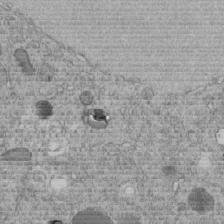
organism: C. elegans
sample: C. elegans embryo early stage